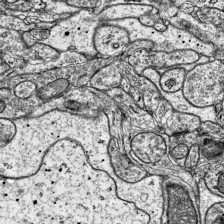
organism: Mouse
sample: Visual Cortex